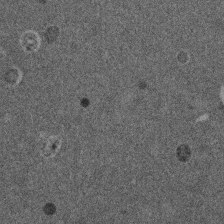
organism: Mouse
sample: Dividing mouse embryo 1 cell stage